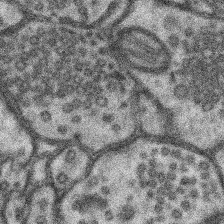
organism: Mouse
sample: Somatosensory cortex neuropil